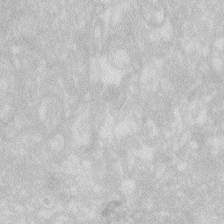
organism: Zebrafish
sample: Macrophage